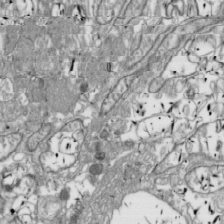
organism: Drosophila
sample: Cell division; meiosis; drosophila spermatocytes